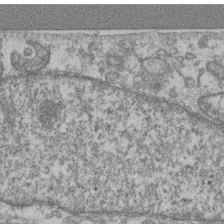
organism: Mouse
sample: T cell stromal cell synapse